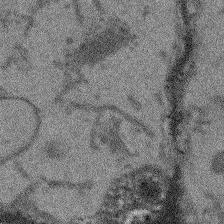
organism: Arabidopsis thaliana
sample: Root tip